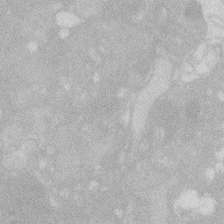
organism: Zebrafish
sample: Macrophage